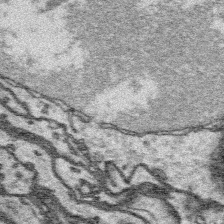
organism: Platynereis dumerilii